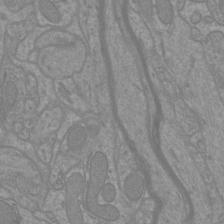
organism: Mouse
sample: Cortical neurons